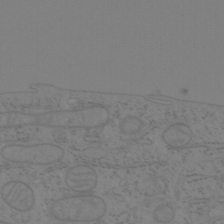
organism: Human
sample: HeLa cells